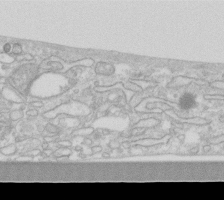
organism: Human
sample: Fibroblast cells